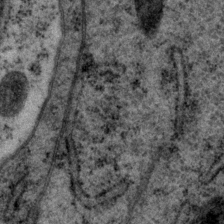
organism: P. pacificus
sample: Pharynx